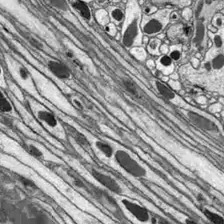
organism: Drosophila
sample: Optic lobe